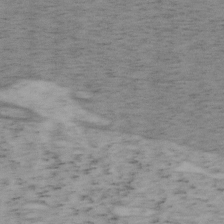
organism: Mouse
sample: OT-I killer T cells with ID8 ovarian cancer cells